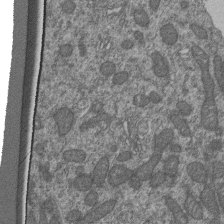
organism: Human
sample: Retinal organoid Rod and Cone cells